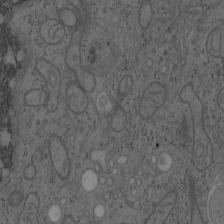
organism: Mouse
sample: OT-I killer T cells with ID8 ovarian cancer cells